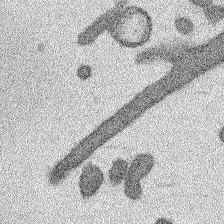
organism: Human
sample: HeLa cells